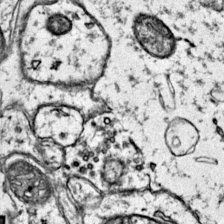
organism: Mouse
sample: Primary visual cortex